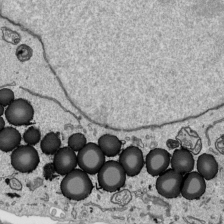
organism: Human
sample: Mitochondria in HCT116 cells